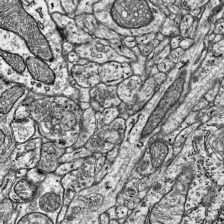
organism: Mouse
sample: Visual Cortex